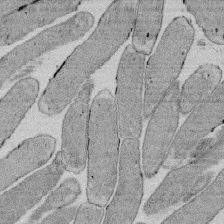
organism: E. coli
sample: Bacterial nucleoid